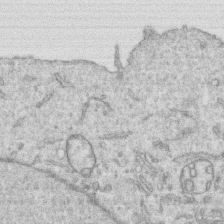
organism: Human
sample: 1205lu cells